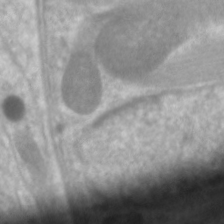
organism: C. elegans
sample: Pharynx